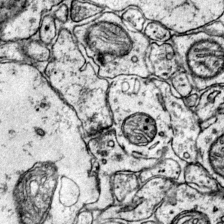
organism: Mouse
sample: Primary visual cortex